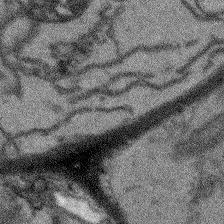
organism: Arabidopsis thaliana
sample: Root tip